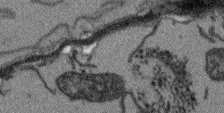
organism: Arabidopsis thaliana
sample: Root tip